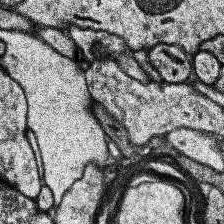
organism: Human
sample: Temporal Lobe